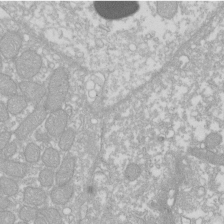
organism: Xenopus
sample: Cilia; centrioles in frog embryo cells